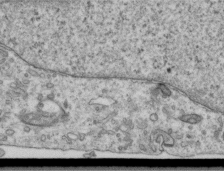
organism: Human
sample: Centriole in RPE cells